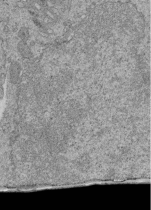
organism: Human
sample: Retinal organoid Rod and Cone cells